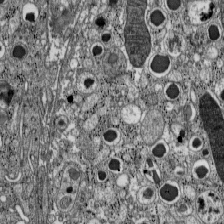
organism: C57BL Mouse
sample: Pancreatic islet